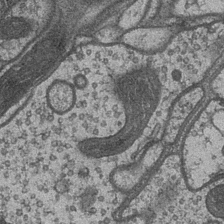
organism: Drosophila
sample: Optic medulla